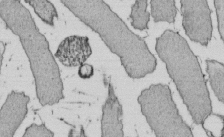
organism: E. coli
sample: Bacterial nucleoid